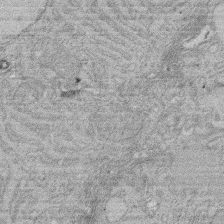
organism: Rat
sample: Salivary granule